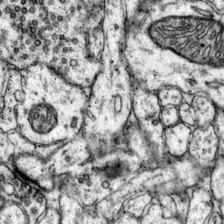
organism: Mouse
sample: Primary visual cortex